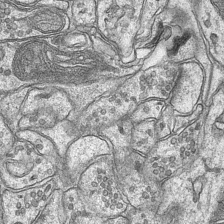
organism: Mouse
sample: CA1 Hippocampus